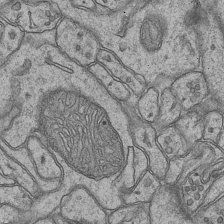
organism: Mouse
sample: CA1 Hippocampus